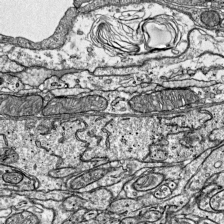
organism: Mouse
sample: Visual Cortex